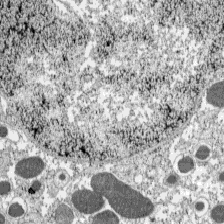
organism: C57BL Mouse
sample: Pancreatic islet